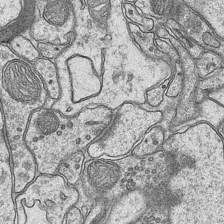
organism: Mouse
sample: CA1 Hippocampus